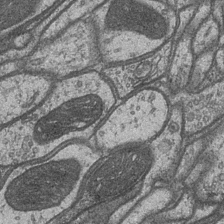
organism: Drosophila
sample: Optic medulla